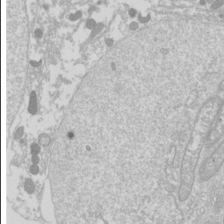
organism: Drosophila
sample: Cell division; meiosis; drosophila spermatocytes